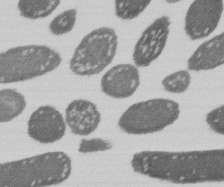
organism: E. coli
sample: Bacterial nucleoid